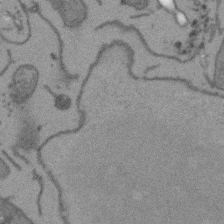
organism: Arabidopsis thaliana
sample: Root tip